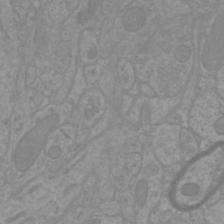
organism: Mouse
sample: Cortical neurons